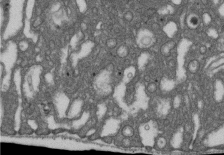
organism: Drosophila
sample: Nephrocyte